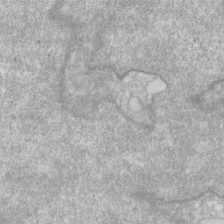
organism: Human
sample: Fibroblast cells